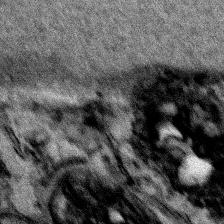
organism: Human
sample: Mitochondria in HCT116 cells